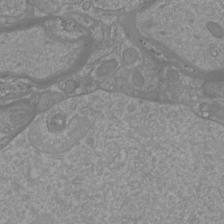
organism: Mouse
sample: Cortical neurons